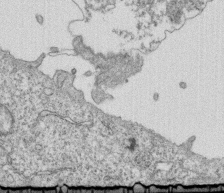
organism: Human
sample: HeLa cell HIV synapse